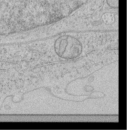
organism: Human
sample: Mitochondria in HCT116 cells